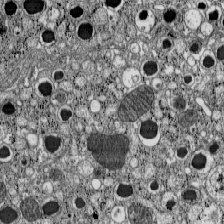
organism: C57BL Mouse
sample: Pancreatic islet